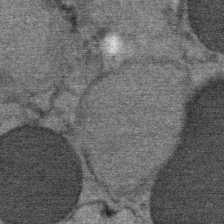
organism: Mouse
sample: Mouse Salivary gland